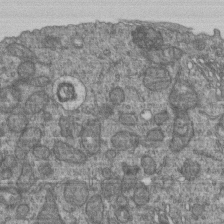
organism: Human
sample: Retinal organoid Rod and Cone cells